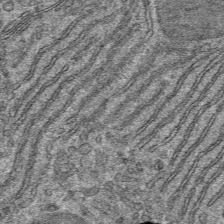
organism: Mouse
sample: Mouse hepatocytes